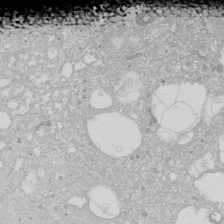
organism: Human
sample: Caco-2 cells